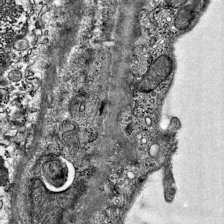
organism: Mouse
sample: Visual Cortex